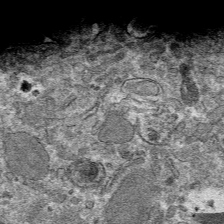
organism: Mouse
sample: Mouse hepatocytes